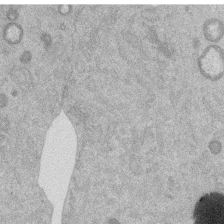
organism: Mouse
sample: Dividing mouse embryo 1 cell stage